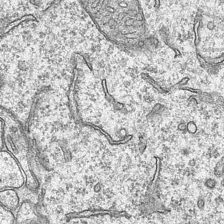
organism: Mouse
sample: CA1 Hippocampus